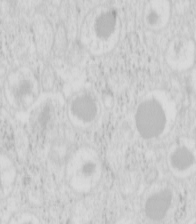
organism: Mouse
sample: Pancreas